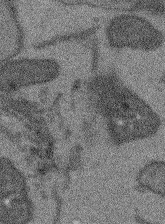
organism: Arabidopsis thaliana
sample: Root tip